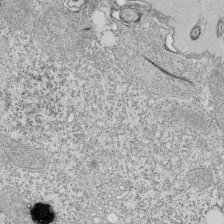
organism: Tetrahymena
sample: Cilia in tetrahymena